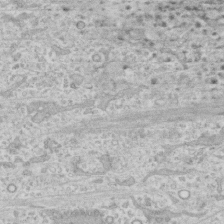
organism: Human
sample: CRL-1474